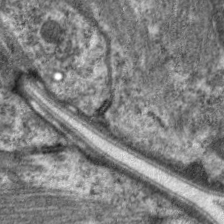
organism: C. elegans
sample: Pharynx